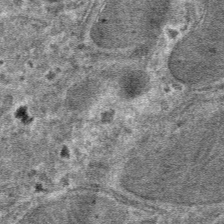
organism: Mouse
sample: Mouse hepatocytes